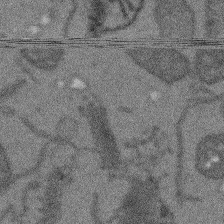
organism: Arabidopsis thaliana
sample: Root tip